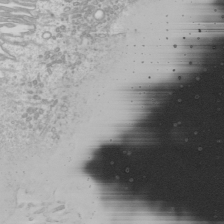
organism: Mouse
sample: Cilia; mouse epididymis